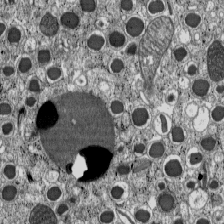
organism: C57BL Mouse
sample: Pancreatic islet